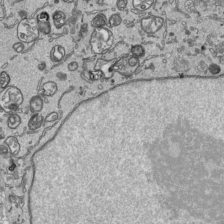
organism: Human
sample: Mitochondria in HCT116 cells